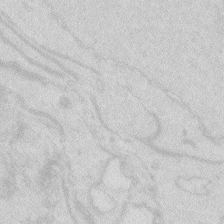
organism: Zebrafish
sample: Macrophage